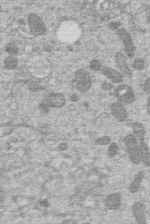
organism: Human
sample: Macrophage cells